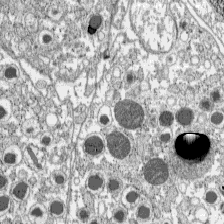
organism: C57BL Mouse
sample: Pancreatic islet